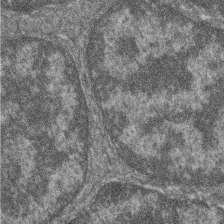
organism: Zebrafish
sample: Cilia; retinal pigment epithelium